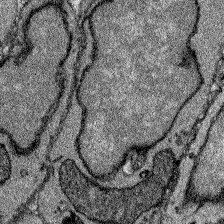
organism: Zebrafish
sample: Larval olfactory bulb